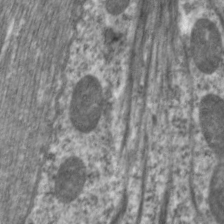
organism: C. elegans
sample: Pharynx